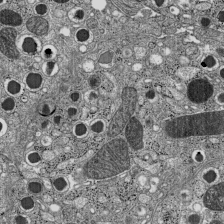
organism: C57BL Mouse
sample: Pancreatic islet